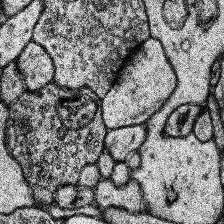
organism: Human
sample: Temporal Lobe